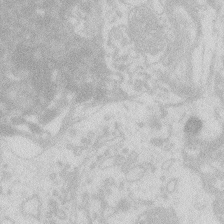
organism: Zebrafish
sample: Macrophage